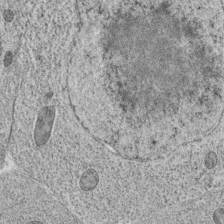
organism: C. elegans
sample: C. elegans oocyte; sperm cells